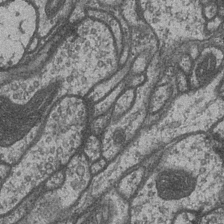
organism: Drosophila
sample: Optic medulla